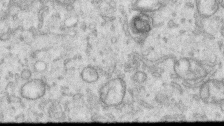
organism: Human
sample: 1205lu cells